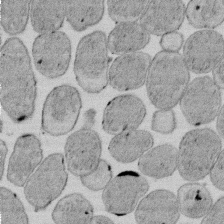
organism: E. coli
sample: Bacterial nucleoid